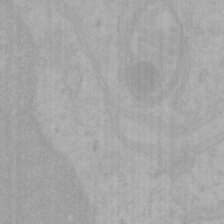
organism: Mouse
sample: Choroid plexus